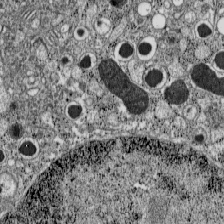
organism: C57BL Mouse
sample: Pancreatic islet